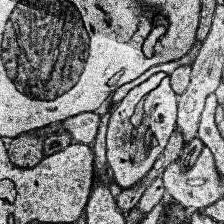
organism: Human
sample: Temporal Lobe